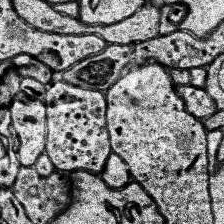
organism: Human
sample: Temporal Lobe